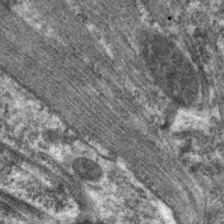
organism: C. elegans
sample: Pharynx